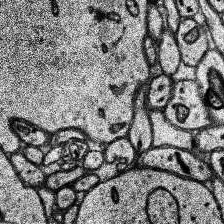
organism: Human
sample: Temporal Lobe